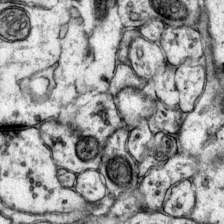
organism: Mouse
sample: Primary visual cortex